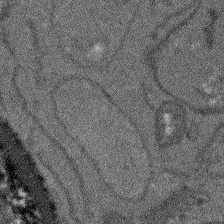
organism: Arabidopsis thaliana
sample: Root tip